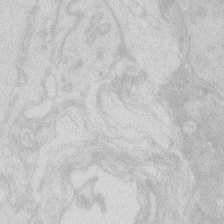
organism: Zebrafish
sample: Macrophage